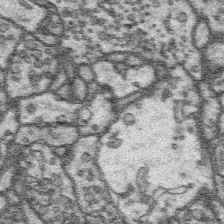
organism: Platynereis dumerilii